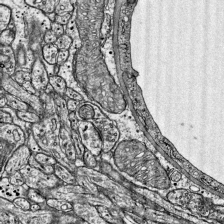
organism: Mouse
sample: Visual Cortex